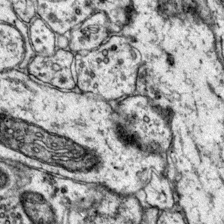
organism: Mouse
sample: Primary visual cortex